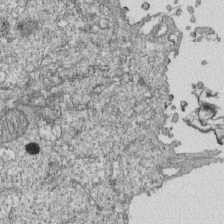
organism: Human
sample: HeLa cell HIV synapse